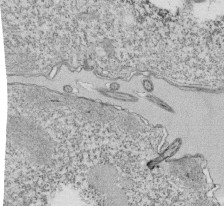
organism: Tetrahymena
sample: Cilia in tetrahymena